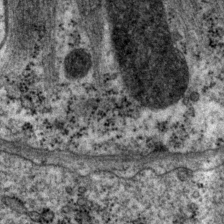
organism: P. pacificus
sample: Pharynx